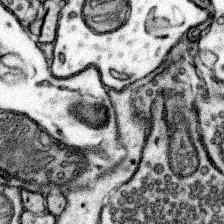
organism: Mouse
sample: Somatosensory cortex neuropil